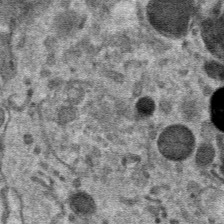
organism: Mouse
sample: Mouse hepatocytes